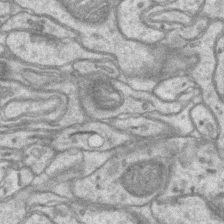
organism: Mouse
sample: CA1 Hippocampus